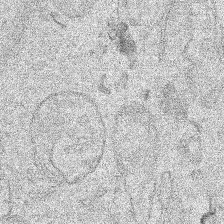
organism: Human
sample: Mitochondria in HCT116 cells